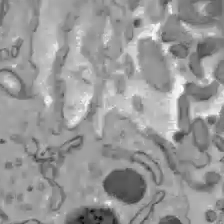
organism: C57BL Mouse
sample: Liver